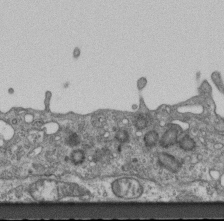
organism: Mouse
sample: Centriole in ependymal cells